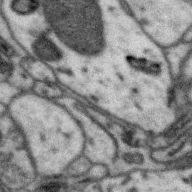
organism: Zebra finch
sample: Brain